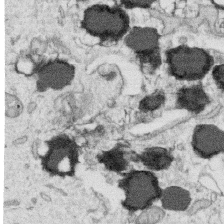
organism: Human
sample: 1205lu cells